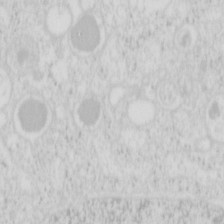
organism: Mouse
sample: Pancreas